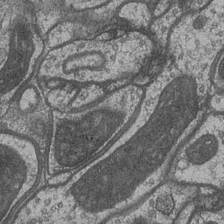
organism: Drosophila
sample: Optic medulla